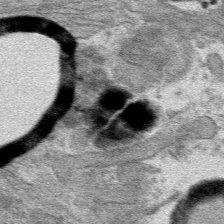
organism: Mouse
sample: Mouse hepatocytes